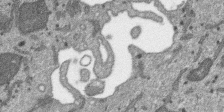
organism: Human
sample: Lung epithelial cells infected with SARS-CoV-2